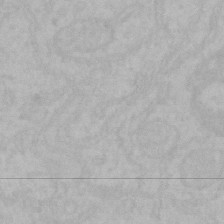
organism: Mouse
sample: Choroid plexus